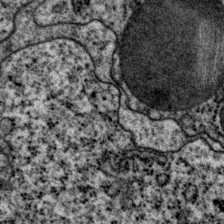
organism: P. pacificus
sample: Pharynx